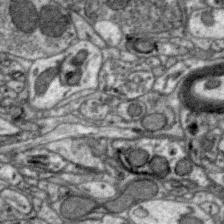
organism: Zebra finch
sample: Brain